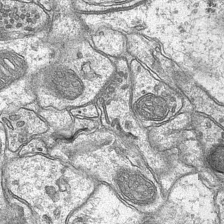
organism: Mouse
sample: CA1 Hippocampus